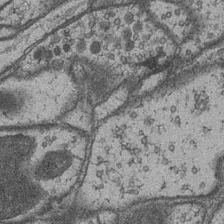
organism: Drosophila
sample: Optic medulla